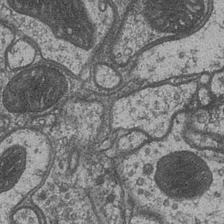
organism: Drosophila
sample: Optic medulla